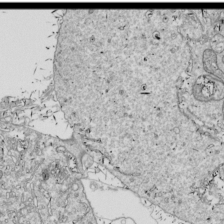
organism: Drosophila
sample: Cell division; meiosis; drosophila spermatocytes